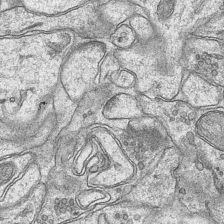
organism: Mouse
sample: CA1 Hippocampus